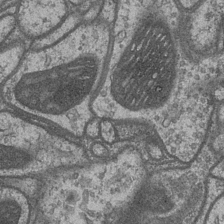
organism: Drosophila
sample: Optic medulla